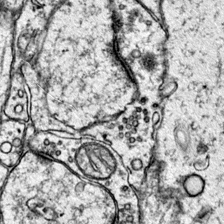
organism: Mouse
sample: Primary visual cortex